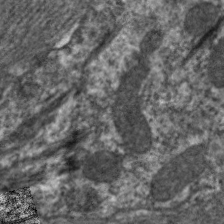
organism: C. elegans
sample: Pharynx